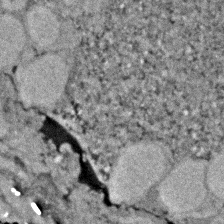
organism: Zebrafish